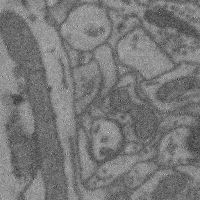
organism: Mouse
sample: Cerebral cortex